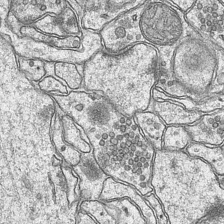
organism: Mouse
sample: CA1 Hippocampus